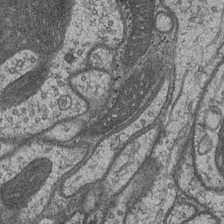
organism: Drosophila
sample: Optic medulla